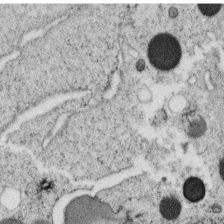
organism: C. elegans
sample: C. elegans oocyte; sperm cells